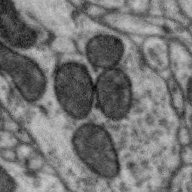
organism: Zebra finch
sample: Brain